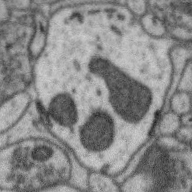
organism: Zebra finch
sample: Brain